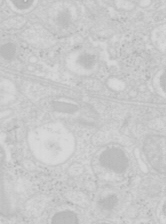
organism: Mouse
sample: Pancreas